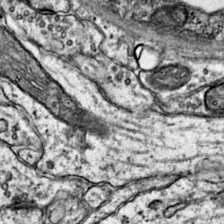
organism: Mouse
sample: Primary visual cortex